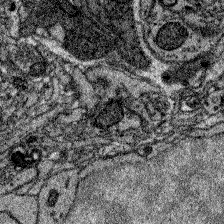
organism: Zebrafish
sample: Larval olfactory bulb